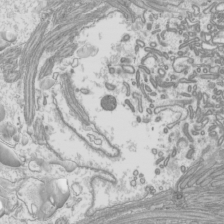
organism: Mouse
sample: Cilia; mouse epididymis